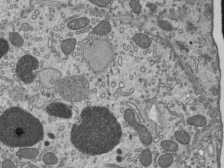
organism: Mouse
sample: Mouse epididymis efferent ductule cilia